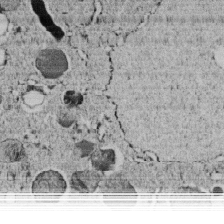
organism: C. elegans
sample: C. elegans embryo early stage